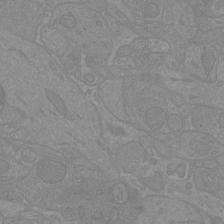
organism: Mouse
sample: Cortical neurons